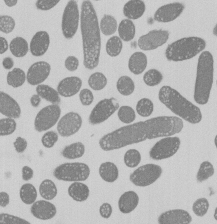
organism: E. coli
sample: Bacterial nucleoid